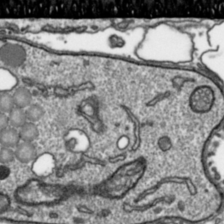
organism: Toxoplasma gondii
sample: Parasites in a vacuole inside a host cell